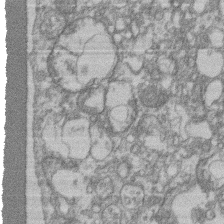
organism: Mouse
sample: T cell stromal cell synapse